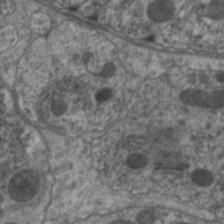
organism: C. elegans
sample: Pharynx